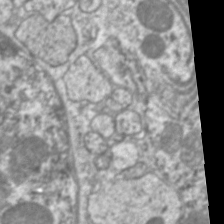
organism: C. elegans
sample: Pharynx